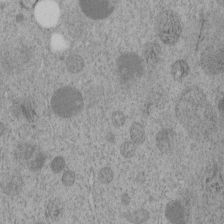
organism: C. elegans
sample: C. elegans embryo early stage